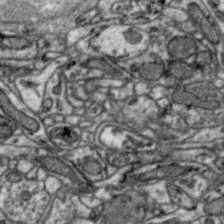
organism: Zebra finch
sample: Brain